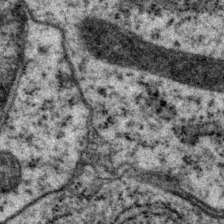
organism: P. pacificus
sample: Pharynx